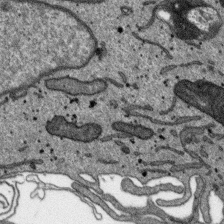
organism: Human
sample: Lung epithelial cells, uninfected (mock) control